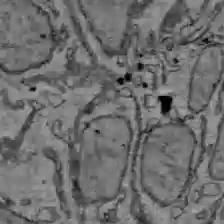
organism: C57BL Mouse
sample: Liver